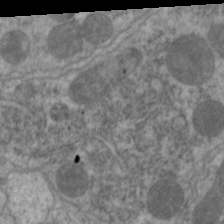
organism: C. elegans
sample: Pharynx